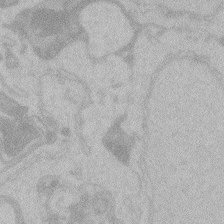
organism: Zebrafish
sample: Macrophage infected with Toxoplasma gondii